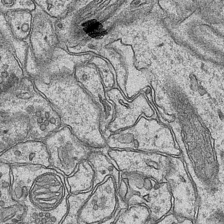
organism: Mouse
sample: CA1 Hippocampus